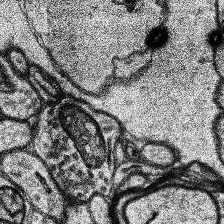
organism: Human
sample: Temporal Lobe